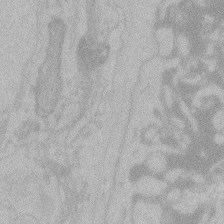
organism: Zebrafish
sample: Macrophage infected with Toxoplasma gondii